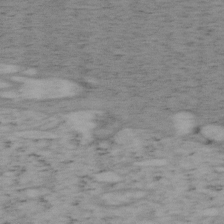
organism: Mouse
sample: OT-I killer T cells with ID8 ovarian cancer cells